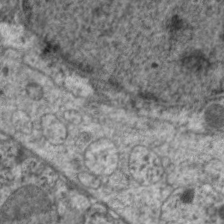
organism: C. elegans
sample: Pharynx